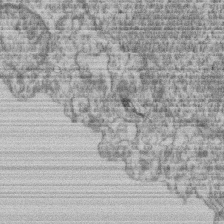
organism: Mouse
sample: T cell stromal cell synapse